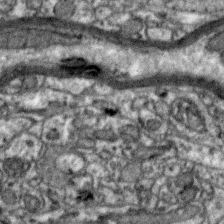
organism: Zebra finch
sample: Brain